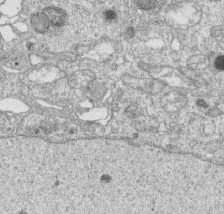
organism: Human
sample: HeLa cell HIV synapse